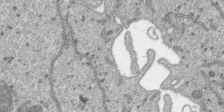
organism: Human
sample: Lung epithelial cells infected with SARS-CoV-2